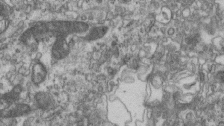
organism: Mouse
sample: Centriole in ependymal cells